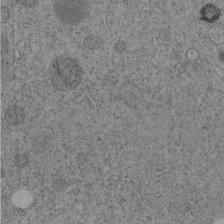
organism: C. elegans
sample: C. elegans embryo early stage